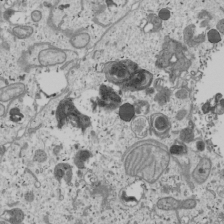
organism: Human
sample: Mitochondria in U2OS cells